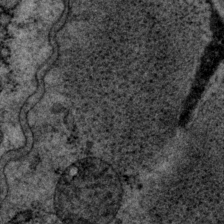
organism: P. pacificus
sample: Pharynx